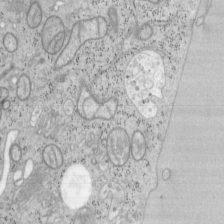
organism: Mouse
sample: OT-I killer T cells with ID8 ovarian cancer cells